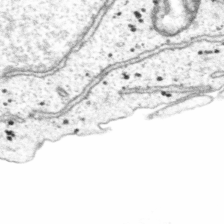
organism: Human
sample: HeLa cells